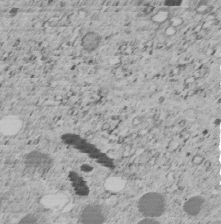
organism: C. elegans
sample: C. elegans embryo early stage